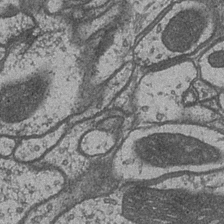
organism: Drosophila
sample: Optic medulla